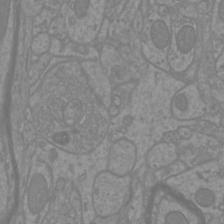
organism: Mouse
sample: Cortical neurons